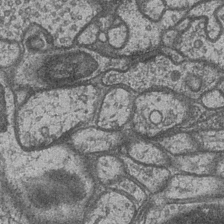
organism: Drosophila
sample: Optic medulla